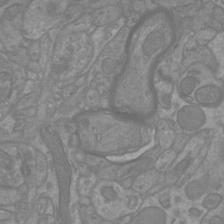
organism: Mouse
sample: Cortical neurons